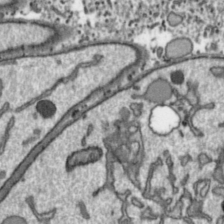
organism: Toxoplasma gondii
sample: Parasites in a vacuole inside a host cell